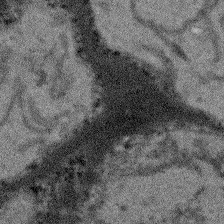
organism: Arabidopsis thaliana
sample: Root tip